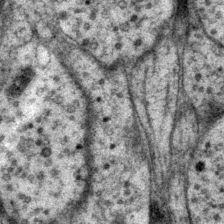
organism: P. pacificus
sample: Pharynx